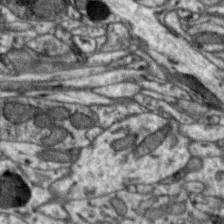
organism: Zebra finch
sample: Brain